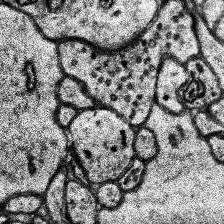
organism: Human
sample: Temporal Lobe